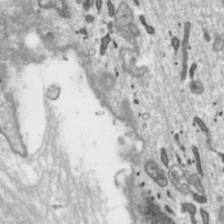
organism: Toxoplasma gondii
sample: Parasites in a vacuole inside a host cell